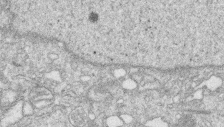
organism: Human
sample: HeLa cell HIV synapse